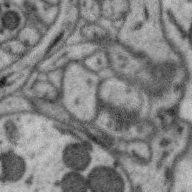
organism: Zebra finch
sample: Brain